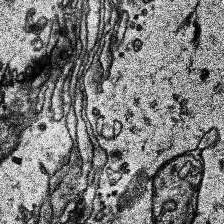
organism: Human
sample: Temporal Lobe